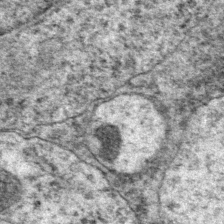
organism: P. pacificus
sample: Pharynx